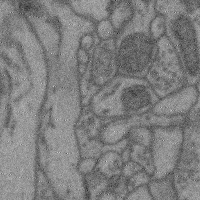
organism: Mouse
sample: Cerebral cortex